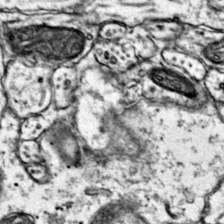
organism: Mouse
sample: Primary visual cortex